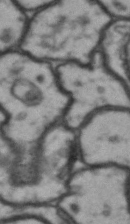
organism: Drosophila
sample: Brain